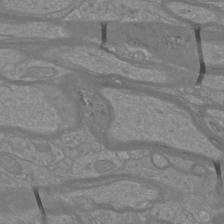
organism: Mouse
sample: Cortical neurons